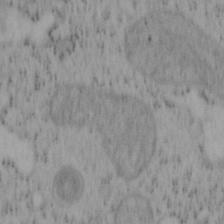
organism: Mouse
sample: OT-I killer T cells with ID8 ovarian cancer cells